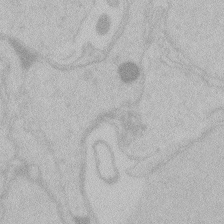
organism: Zebrafish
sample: Macrophage infected with Toxoplasma gondii